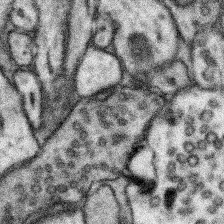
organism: Mouse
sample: Somatosensory cortex neuropil